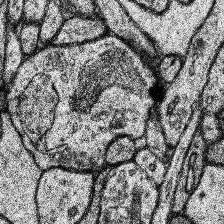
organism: Human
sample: Temporal Lobe